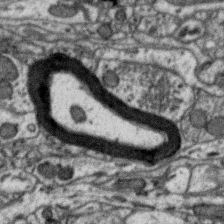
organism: Zebra finch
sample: Brain